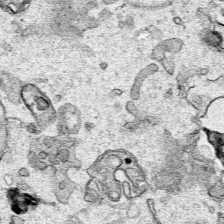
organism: Human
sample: Mitochondria in HCT116 cells